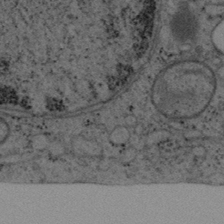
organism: Human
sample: HeLa cells